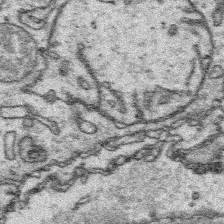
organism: Platynereis dumerilii